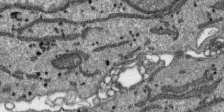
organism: Human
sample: Lung epithelial cells, uninfected (mock) control